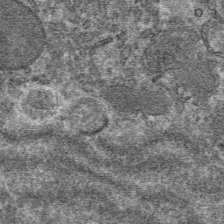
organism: Mouse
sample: Mouse hepatocytes